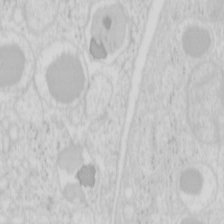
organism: Mouse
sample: Pancreas